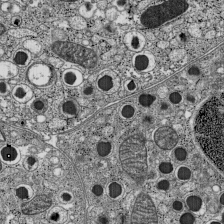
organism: C57BL Mouse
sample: Pancreatic islet